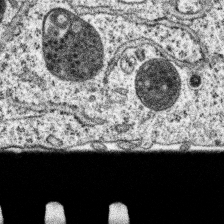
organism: Human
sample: HeLa cells